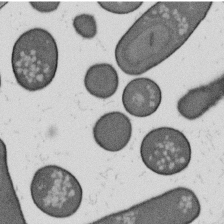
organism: B. subtilis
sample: Bacterial spore